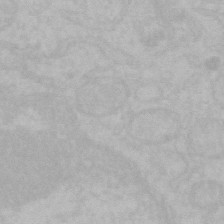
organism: Mouse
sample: Choroid plexus